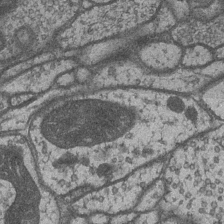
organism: Drosophila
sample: Optic medulla